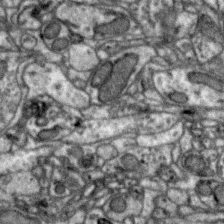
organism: Zebra finch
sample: Brain